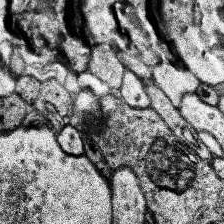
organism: Human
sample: Temporal Lobe